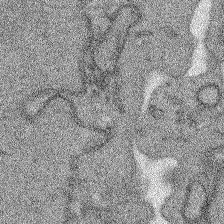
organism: Human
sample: HeLa cells